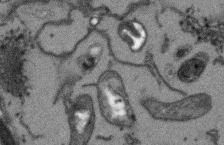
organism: Arabidopsis thaliana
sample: Root tip